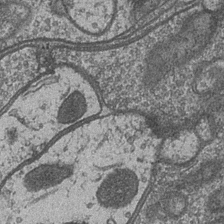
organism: Drosophila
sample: Optic medulla